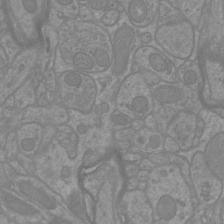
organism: Mouse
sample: Cortical neurons